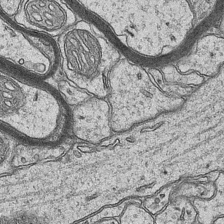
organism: Mouse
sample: CA1 Hippocampus